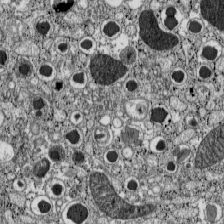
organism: C57BL Mouse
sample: Pancreatic islet